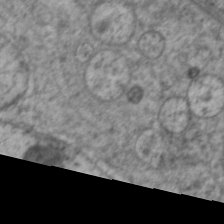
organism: C. elegans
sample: Pharynx